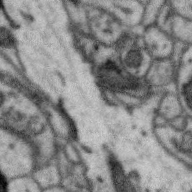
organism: Zebra finch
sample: Brain